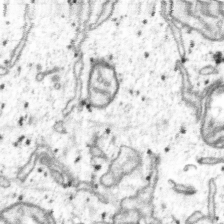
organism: Human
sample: HeLa cells